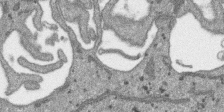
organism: Human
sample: Lung epithelial cells infected with SARS-CoV-2